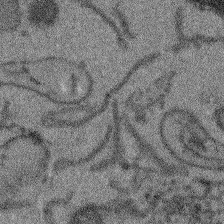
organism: Arabidopsis thaliana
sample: Root tip